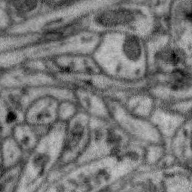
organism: Zebra finch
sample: Brain